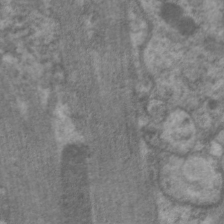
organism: C. elegans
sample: Pharynx